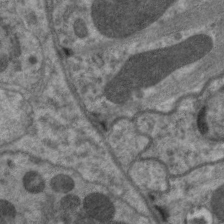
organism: C. elegans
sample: Pharynx